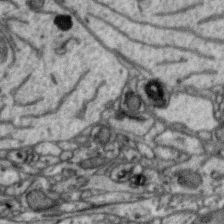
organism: Zebra finch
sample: Brain